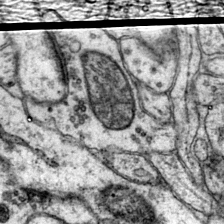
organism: Mouse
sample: Primary visual cortex